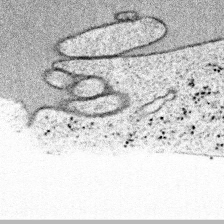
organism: Human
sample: HeLa cells